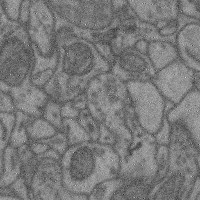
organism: Mouse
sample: Cerebral cortex